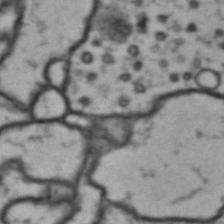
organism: Drosophila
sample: Brain